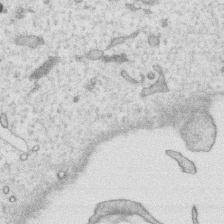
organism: Human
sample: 1205lu cells